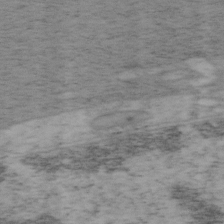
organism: Mouse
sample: OT-I killer T cells with ID8 ovarian cancer cells